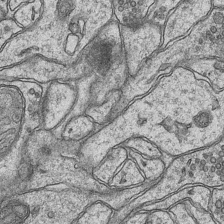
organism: Mouse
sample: CA1 Hippocampus